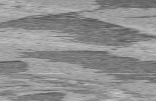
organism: C57BL Mouse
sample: Heart